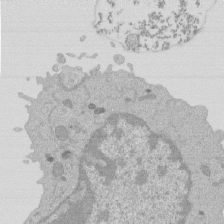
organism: Mouse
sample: Activated Pmel transgenic CD8+ T Cells